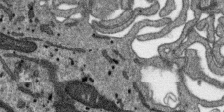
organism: Human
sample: Lung epithelial cells, uninfected (mock) control